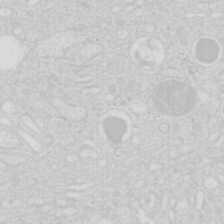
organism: Mouse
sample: Pancreas